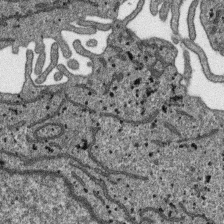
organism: Human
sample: Lung epithelial cells infected with SARS-CoV-2